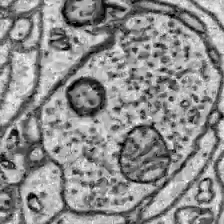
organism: Zebrafish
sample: Brain